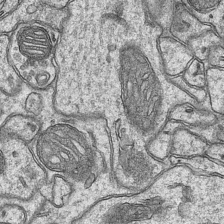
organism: Mouse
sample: CA1 Hippocampus